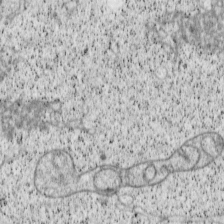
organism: African green monkey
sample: COS-7 cells